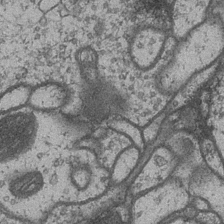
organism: Drosophila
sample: Optic medulla